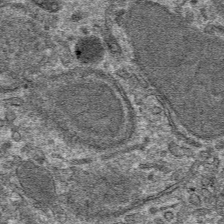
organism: Mouse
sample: Mouse hepatocytes